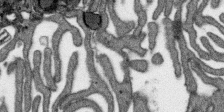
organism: Human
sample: Lung epithelial cells, uninfected (mock) control